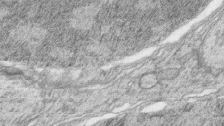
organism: Zebrafish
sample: synaptic ribbons in rod cells and cone cells